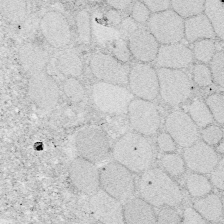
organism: Zebrafish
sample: Whole-Brain